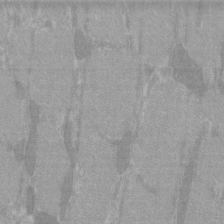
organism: C57BL Mouse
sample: Tibialis anterior muscle cell